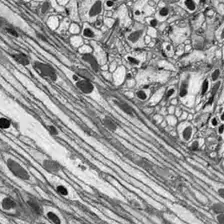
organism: Drosophila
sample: Optic lobe